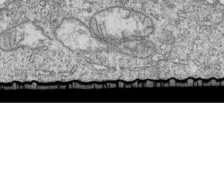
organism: Human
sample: HeLa cell HIV synapse